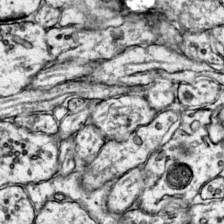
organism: Mouse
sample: Primary visual cortex